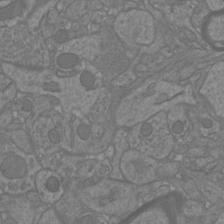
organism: Mouse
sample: Cortical neurons